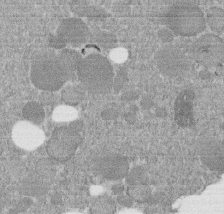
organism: C. elegans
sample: C. elegans embryo early stage